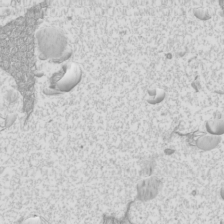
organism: Mouse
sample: Cilia; mouse epididymis